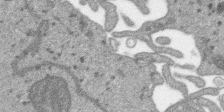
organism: Human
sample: Lung epithelial cells infected with SARS-CoV-2